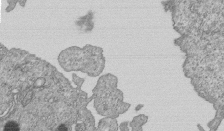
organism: Human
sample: MDA-MB-231 cells